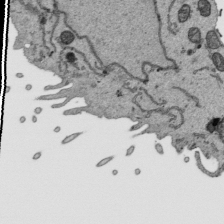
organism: Human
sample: Mitochondria in HCT116 cells